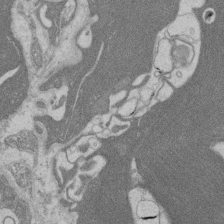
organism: Rat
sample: Salivary granule